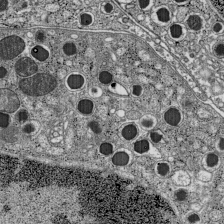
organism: C57BL Mouse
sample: Pancreatic islet